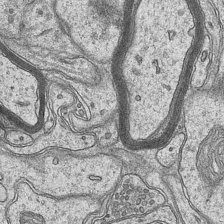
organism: Mouse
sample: CA1 Hippocampus